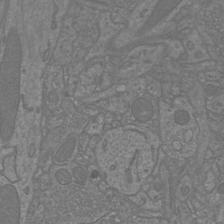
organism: Mouse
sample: Cortical neurons